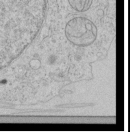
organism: Human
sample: Mitochondria in HCT116 cells